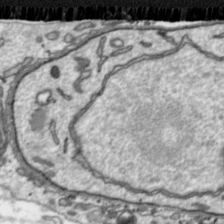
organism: Toxoplasma gondii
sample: Parasites in a vacuole inside a host cell